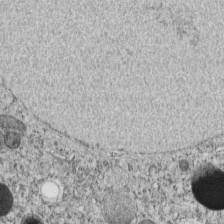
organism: C. elegans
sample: C. elegans embryo early stage